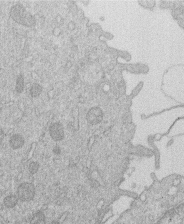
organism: Human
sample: Macrophage cells